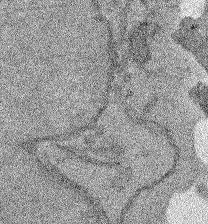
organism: Human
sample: HeLa cells